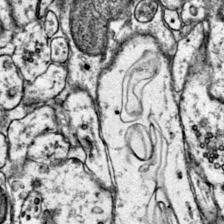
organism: Mouse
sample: Primary visual cortex